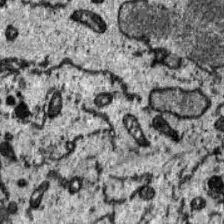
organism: Human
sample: HeLa cells